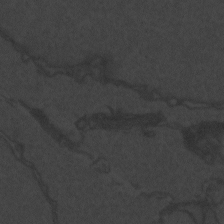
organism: Zebrafish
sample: Macrophage infected with Toxoplasma gondii